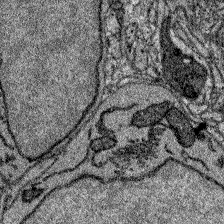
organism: Zebrafish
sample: Larval olfactory bulb